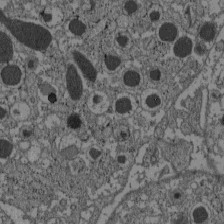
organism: C57BL Mouse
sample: Pancreatic islet